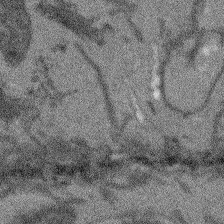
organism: Arabidopsis thaliana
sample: Root tip